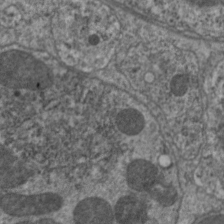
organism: C. elegans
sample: Pharynx